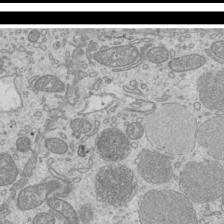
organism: Mouse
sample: Cilia; mouse epididymis